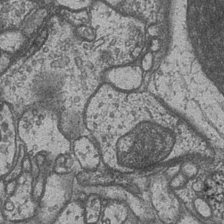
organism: Drosophila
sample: Optic medulla